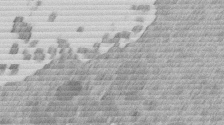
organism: Mouse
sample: Dividing mouse embryo 1 cell stage